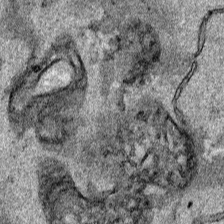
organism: Human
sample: Mitochondria in HCT116 cells